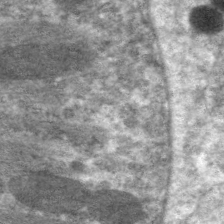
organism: C. elegans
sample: Pharynx